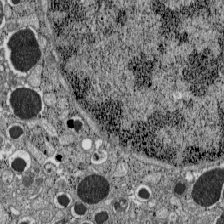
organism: C57BL Mouse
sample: Pancreatic islet